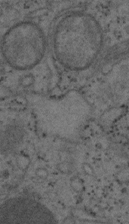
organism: Human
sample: HeLa cells